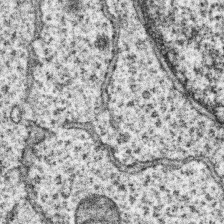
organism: Human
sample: HeLa cells